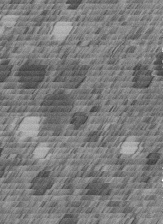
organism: C. elegans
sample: C. elegans embryo early stage